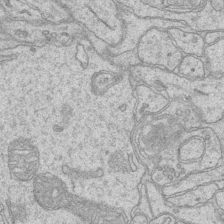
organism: Mouse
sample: CA1 Hippocampus